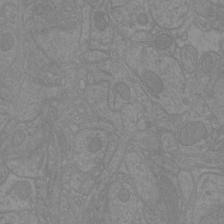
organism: Mouse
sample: Cortical neurons